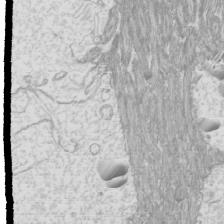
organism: Mouse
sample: Cilia; mouse epididymis